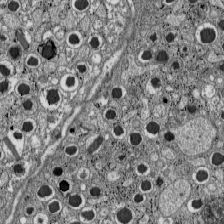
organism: C57BL Mouse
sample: Pancreatic islet